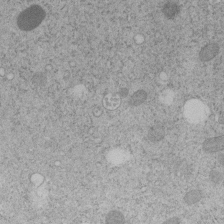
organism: C. elegans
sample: C. elegans embryo early stage